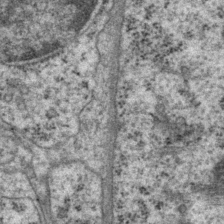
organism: P. pacificus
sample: Pharynx